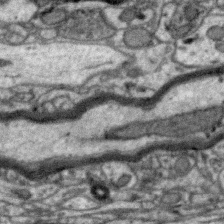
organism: Zebra finch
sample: Brain